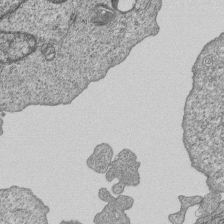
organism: Human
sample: MDA-MB-231 cells